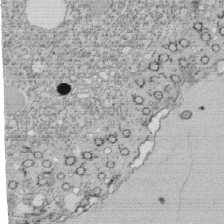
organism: Tetrahymena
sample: Cilia in tetrahymena